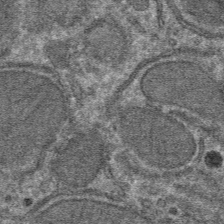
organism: Mouse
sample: Mouse hepatocytes